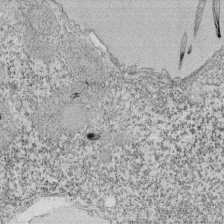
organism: Tetrahymena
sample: Cilia in tetrahymena